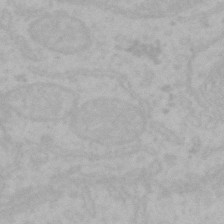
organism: Mouse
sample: Choroid plexus